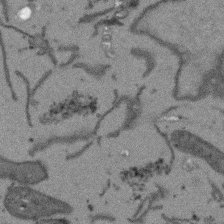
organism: Arabidopsis thaliana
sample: Root tip